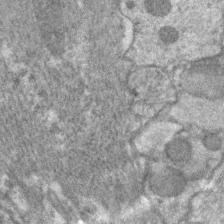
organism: C. elegans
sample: Pharynx